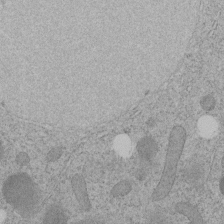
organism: C. elegans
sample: C. elegans embryo early stage